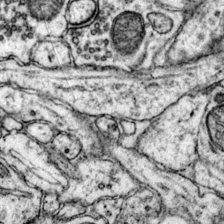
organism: Mouse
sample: Primary visual cortex